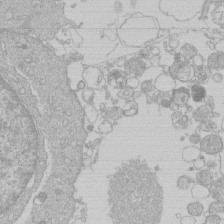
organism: Human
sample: Macrophage cells